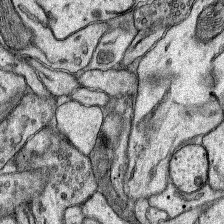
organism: Rat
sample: Hippocampus